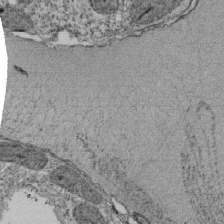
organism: Tetrahymena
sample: Cilia in tetrahymena